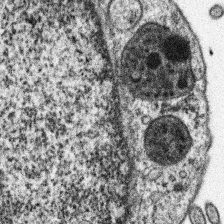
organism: Human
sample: HeLa cells